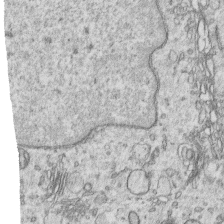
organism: Human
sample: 1205lu cells